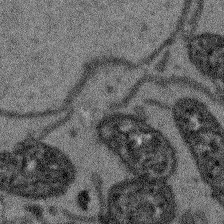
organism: Arabidopsis thaliana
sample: Root tip